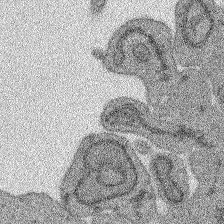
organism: Human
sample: HeLa cells